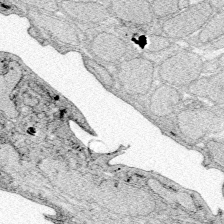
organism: Zebrafish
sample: Whole-Brain